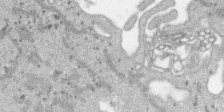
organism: Human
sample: Lung epithelial cells infected with SARS-CoV-2